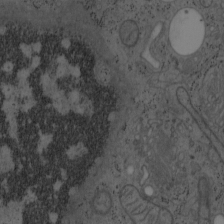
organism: Mouse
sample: OT-I killer T cells with ID8 ovarian cancer cells